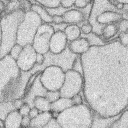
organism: Rabbit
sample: Retina